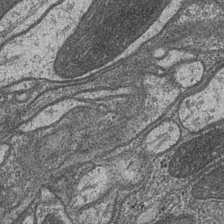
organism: Drosophila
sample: Optic medulla